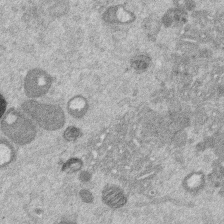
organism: Mouse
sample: Dividing mouse embryo 1 cell stage